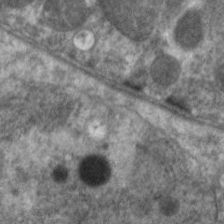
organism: C. elegans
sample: Pharynx